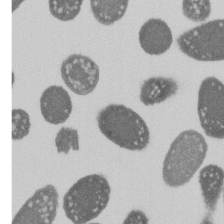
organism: E. coli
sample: Bacterial nucleoid